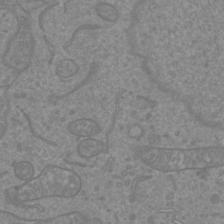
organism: Mouse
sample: Cortical neurons